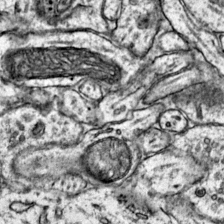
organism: Mouse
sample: Primary visual cortex